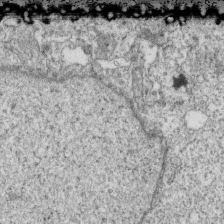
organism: Human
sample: HeLa cell HIV synapse